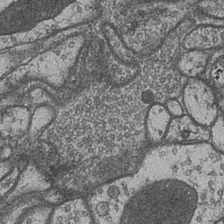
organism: Drosophila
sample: Optic medulla